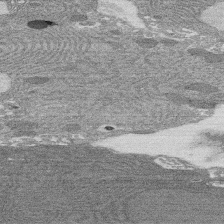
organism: Rat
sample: Salivary granule